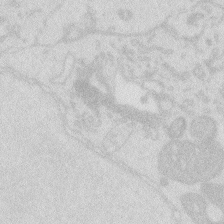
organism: Zebrafish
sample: Macrophage